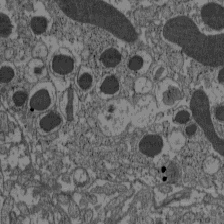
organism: C57BL Mouse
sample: Pancreatic islet